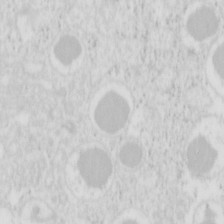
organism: Mouse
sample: Pancreas